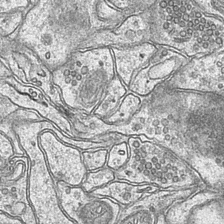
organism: Mouse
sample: CA1 Hippocampus